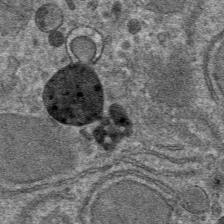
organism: Mouse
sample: Mouse hepatocytes